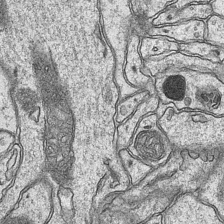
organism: Mouse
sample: CA1 Hippocampus